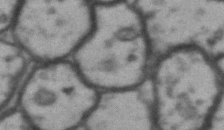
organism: Drosophila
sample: Brain